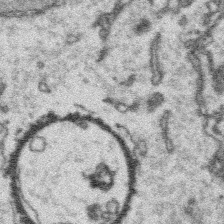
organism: Platynereis dumerilii